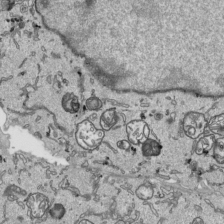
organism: Human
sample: Mitochondria in HCT116 cells